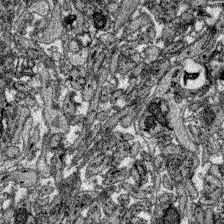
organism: Zebrafish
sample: Larval olfactory bulb